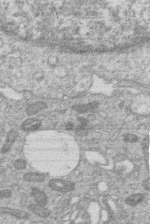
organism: Human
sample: Macrophage cells